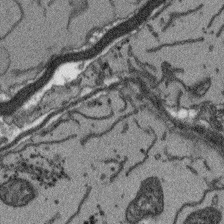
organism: Arabidopsis thaliana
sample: Root tip